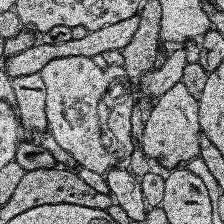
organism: Human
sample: Temporal Lobe